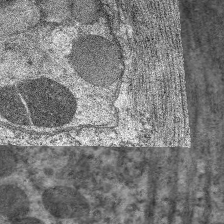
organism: C. elegans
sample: Pharynx